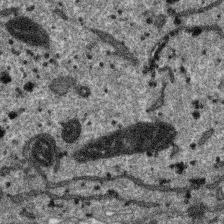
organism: Human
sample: Lung epithelial cells infected with SARS-CoV-2